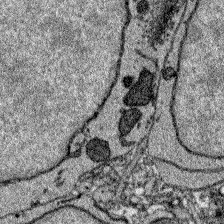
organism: Zebrafish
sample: Larval olfactory bulb